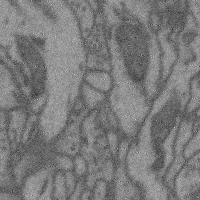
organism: Mouse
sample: Cerebral cortex